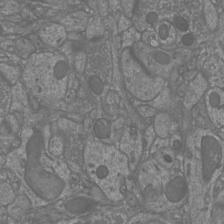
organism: Mouse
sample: Cortical neurons